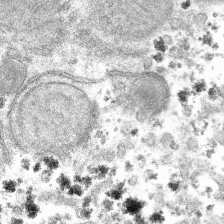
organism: Mouse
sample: Mouse hepatocytes